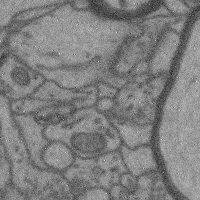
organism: Mouse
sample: Cerebral cortex